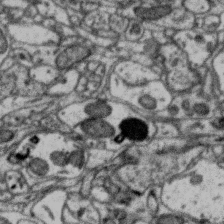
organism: Zebra finch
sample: Brain